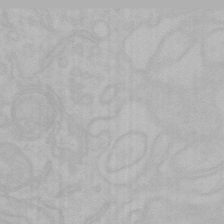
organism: Mouse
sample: Choroid plexus